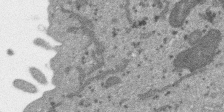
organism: Human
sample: Lung epithelial cells infected with SARS-CoV-2